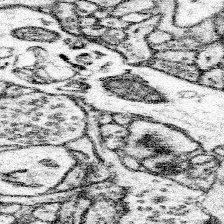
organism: Mouse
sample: Somatosensory cortex neuropil